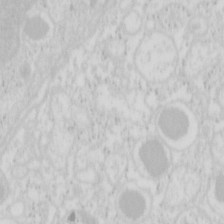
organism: Mouse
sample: Pancreas